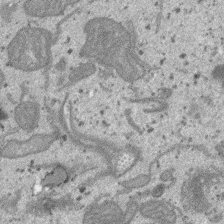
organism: Human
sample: Lung epithelial cells infected with SARS-CoV-2